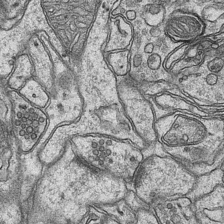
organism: Mouse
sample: CA1 Hippocampus